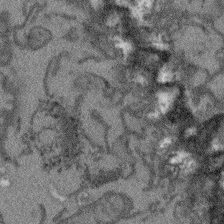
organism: Arabidopsis thaliana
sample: Root tip